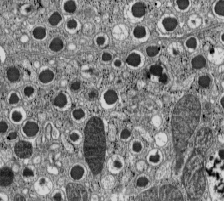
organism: C57BL Mouse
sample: Pancreatic islet